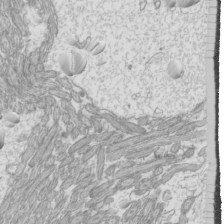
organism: Mouse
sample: Cilia; mouse epididymis